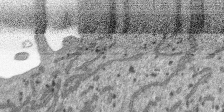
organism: Human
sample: Lung epithelial cells infected with SARS-CoV-2